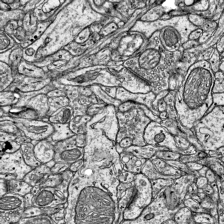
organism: Mouse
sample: Visual Cortex